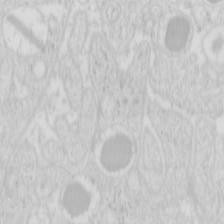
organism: Mouse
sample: Pancreas